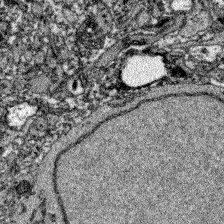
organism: Zebrafish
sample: Larval olfactory bulb